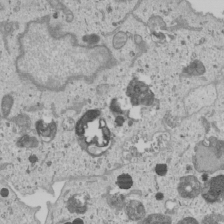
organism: Human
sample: Mitochondria in U2OS cells